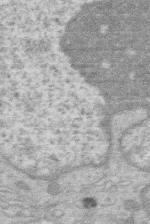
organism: Human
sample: Macrophage cells